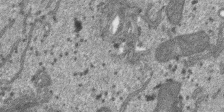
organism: Human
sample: Lung epithelial cells infected with SARS-CoV-2